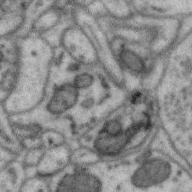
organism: Zebra finch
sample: Brain